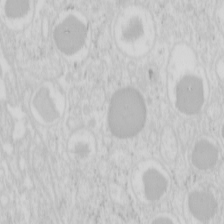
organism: Mouse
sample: Pancreas